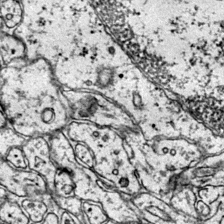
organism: Mouse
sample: Primary visual cortex